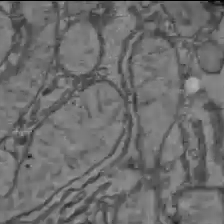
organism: C57BL Mouse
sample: Liver